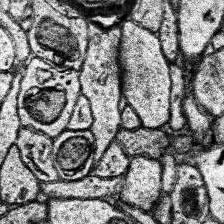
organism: Human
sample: Temporal Lobe